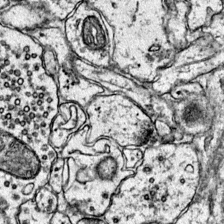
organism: Mouse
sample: Primary visual cortex